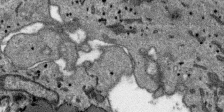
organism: Human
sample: Lung epithelial cells, uninfected (mock) control